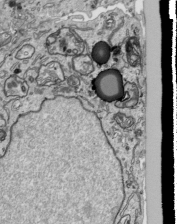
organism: Human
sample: Mitochondria in HCT116 cells